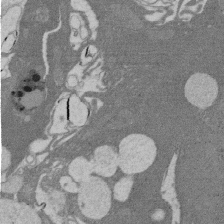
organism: Rat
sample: Salivary granule